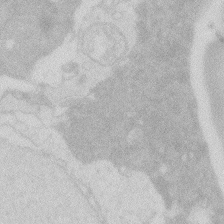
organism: Zebrafish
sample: Macrophage